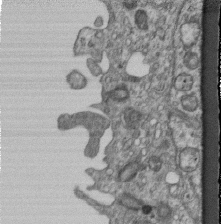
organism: Mouse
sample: Centriole in ependymal cells